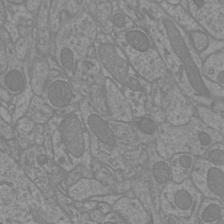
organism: Mouse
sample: Cortical neurons